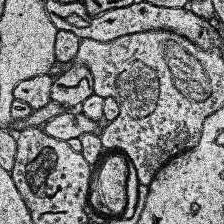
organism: Human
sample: Temporal Lobe